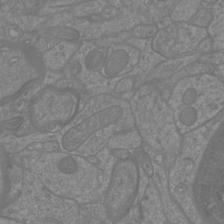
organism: Mouse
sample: Cortical neurons